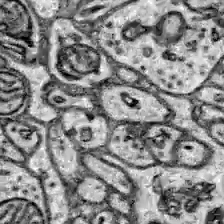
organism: Zebrafish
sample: Brain